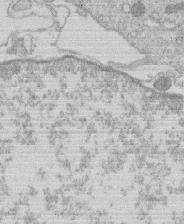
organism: Human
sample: Macrophage cells